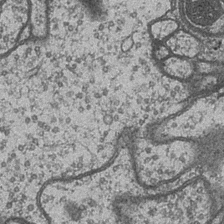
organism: Drosophila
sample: Optic medulla